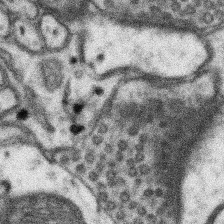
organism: Mouse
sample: Somatosensory cortex neuropil